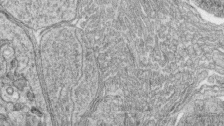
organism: Zebrafish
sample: synaptic ribbons in rod cells and cone cells